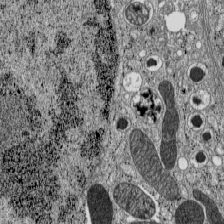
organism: C57BL Mouse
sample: Pancreatic islet